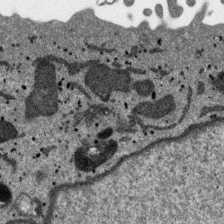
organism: Human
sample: Lung epithelial cells, uninfected (mock) control